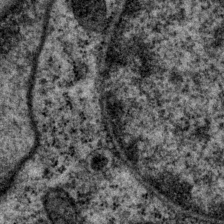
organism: P. pacificus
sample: Pharynx